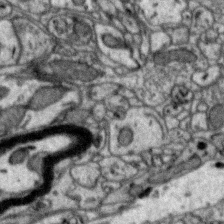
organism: Zebra finch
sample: Brain